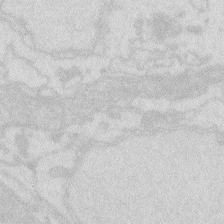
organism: Zebrafish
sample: Macrophage